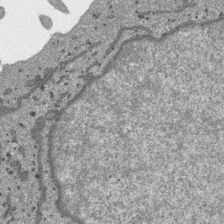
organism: Human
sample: Lung epithelial cells infected with SARS-CoV-2